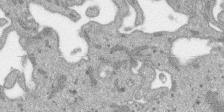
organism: Human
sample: Lung epithelial cells infected with SARS-CoV-2